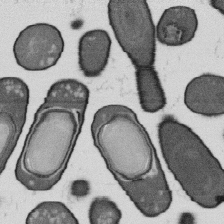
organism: B. subtilis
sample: Bacterial spore